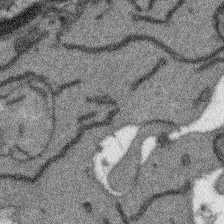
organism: Arabidopsis thaliana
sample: Root tip